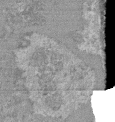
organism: Mouse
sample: Glomerulus